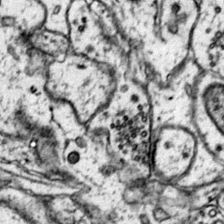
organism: Mouse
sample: Primary visual cortex